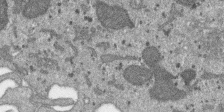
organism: Human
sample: Lung epithelial cells infected with SARS-CoV-2